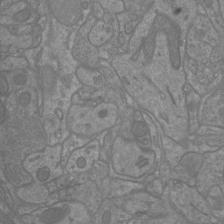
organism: Mouse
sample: Cortical neurons